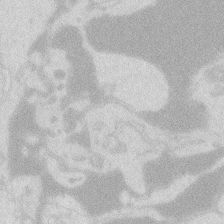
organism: Zebrafish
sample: Macrophage